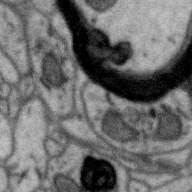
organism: Zebra finch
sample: Brain